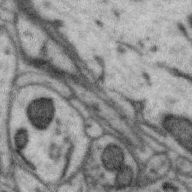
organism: Zebra finch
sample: Brain